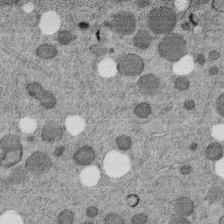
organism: C. elegans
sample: C. elegans embryo early stage